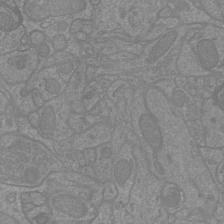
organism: Mouse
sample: Cortical neurons